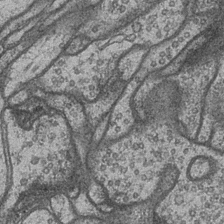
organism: Drosophila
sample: Optic medulla